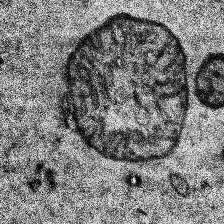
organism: Human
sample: Temporal Lobe